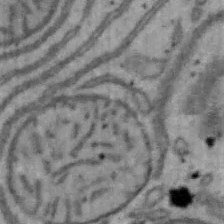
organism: Mouse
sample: Liver